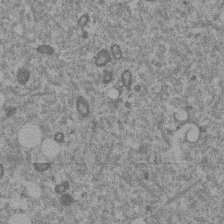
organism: Mouse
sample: Dividing mouse embryo 1 cell stage